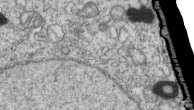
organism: Human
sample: HeLa cell HIV synapse